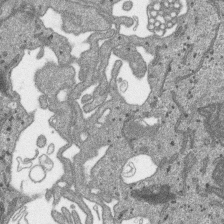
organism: Human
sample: Lung epithelial cells infected with SARS-CoV-2